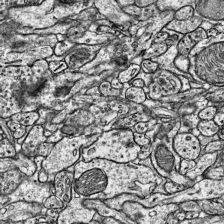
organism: Mouse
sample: Visual Cortex